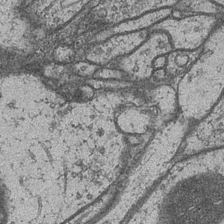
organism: Drosophila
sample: Optic medulla